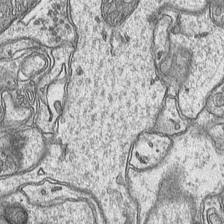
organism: Mouse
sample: CA1 Hippocampus